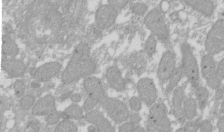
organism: Xenopus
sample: Cilia; centrioles in frog embryo cells